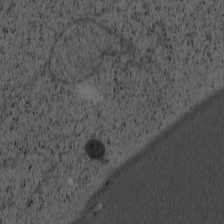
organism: African green monkey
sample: COS-7 cells